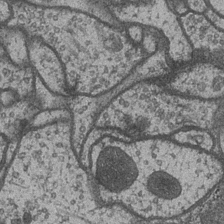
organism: Drosophila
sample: Optic medulla